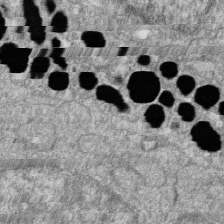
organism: Zebrafish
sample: Cilia; retinal pigment epithelium